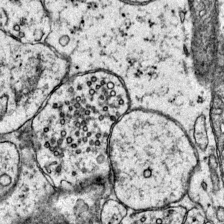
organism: Mouse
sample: Primary visual cortex